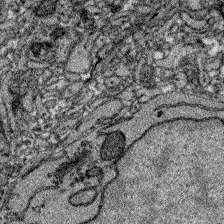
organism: Zebrafish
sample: Larval olfactory bulb